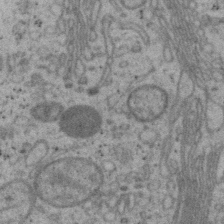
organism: Human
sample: HeLa cells